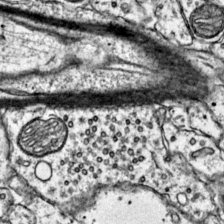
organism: Mouse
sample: Primary visual cortex